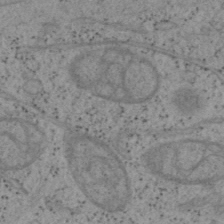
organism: Human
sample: HeLa cells